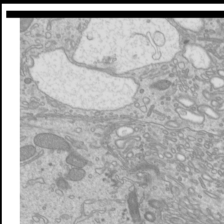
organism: Mouse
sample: Cilia; mouse epididymis